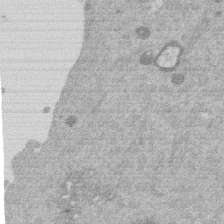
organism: Mouse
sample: Dividing mouse embryo 1 cell stage